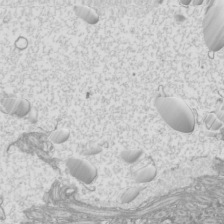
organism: Mouse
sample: Cilia; mouse epididymis